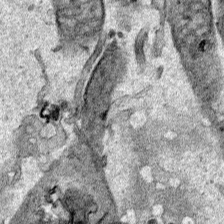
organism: Human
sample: Mitochondria in HCT116 cells